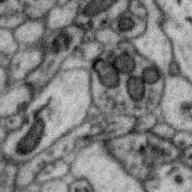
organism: Zebra finch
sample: Brain